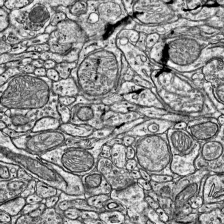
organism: Mouse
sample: Visual Cortex